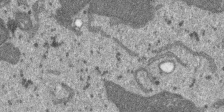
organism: Human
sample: Lung epithelial cells infected with SARS-CoV-2